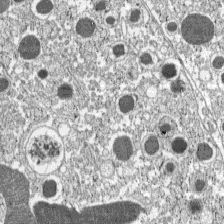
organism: C57BL Mouse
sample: Pancreatic islet